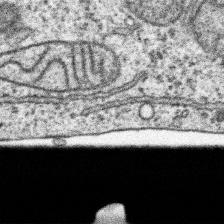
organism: Human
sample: HeLa cells